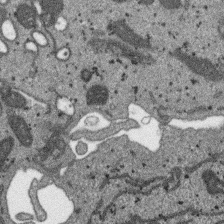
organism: Human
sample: Lung epithelial cells infected with SARS-CoV-2